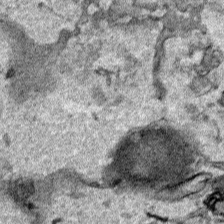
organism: Human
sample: Mitochondria in HCT116 cells